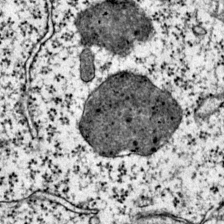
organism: Mouse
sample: Primary visual cortex